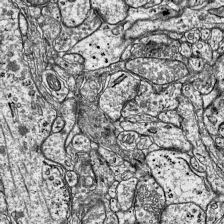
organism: Mouse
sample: Visual Cortex